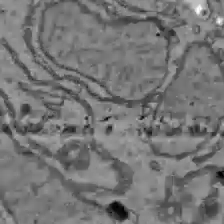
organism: C57BL Mouse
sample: Liver